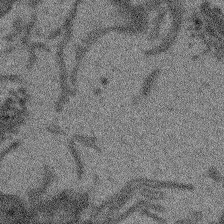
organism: Arabidopsis thaliana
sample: Root tip